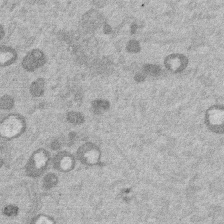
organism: Mouse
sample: Dividing mouse embryo 1 cell stage